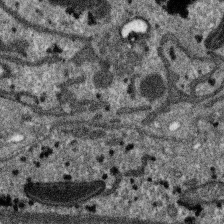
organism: Human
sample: Lung epithelial cells infected with SARS-CoV-2